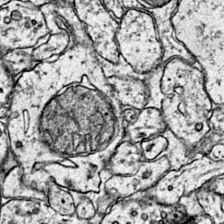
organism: Mouse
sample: Primary visual cortex